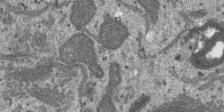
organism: Human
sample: Lung epithelial cells infected with SARS-CoV-2